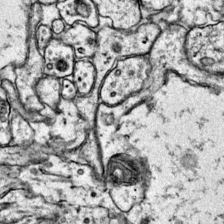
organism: Mouse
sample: Primary visual cortex